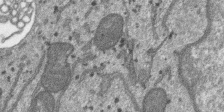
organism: Human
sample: Lung epithelial cells infected with SARS-CoV-2